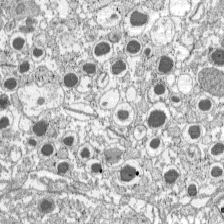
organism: C57BL Mouse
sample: Pancreatic islet